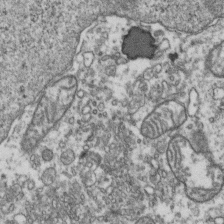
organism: Human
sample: Activated Jurkat CD4+ T cells